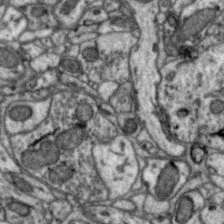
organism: Zebra finch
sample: Brain